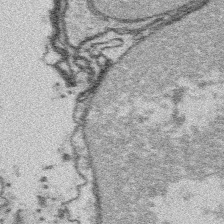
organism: Platynereis dumerilii